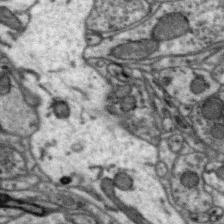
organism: Zebra finch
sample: Brain